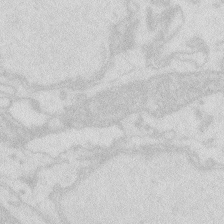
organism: Zebrafish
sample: Macrophage